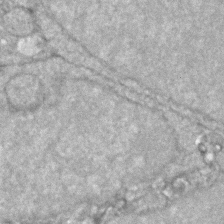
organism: Zebrafish